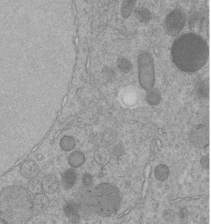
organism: C. elegans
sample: C. elegans embryo early stage